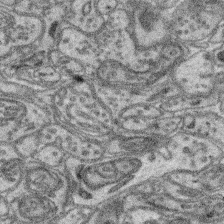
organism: Mouse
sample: Retina